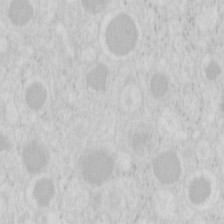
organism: Mouse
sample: Pancreas